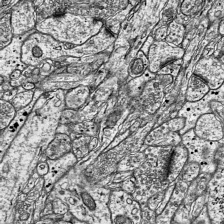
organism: Mouse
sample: Visual Cortex